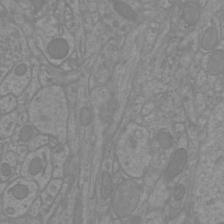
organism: Mouse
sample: Cortical neurons